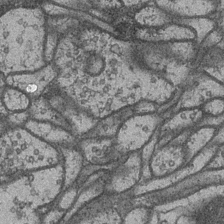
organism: Drosophila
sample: Optic medulla